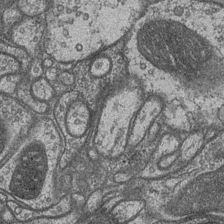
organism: Drosophila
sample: Optic medulla